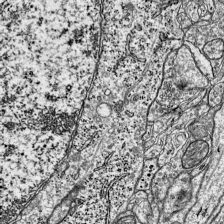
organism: Mouse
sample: Visual Cortex